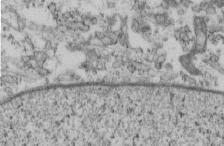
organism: Mouse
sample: Cilia; retinal pigment epithelium